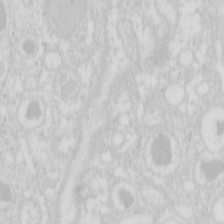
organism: Mouse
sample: Pancreas